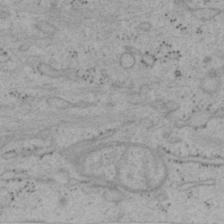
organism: Human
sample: HeLa cells